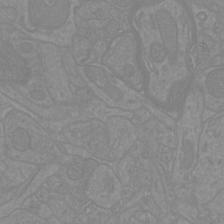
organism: Mouse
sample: Cortical neurons